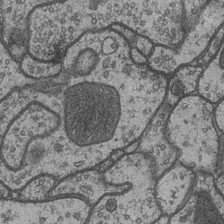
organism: Drosophila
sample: Optic medulla